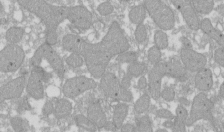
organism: Xenopus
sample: Cilia; centrioles in frog embryo cells